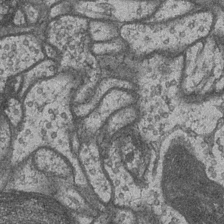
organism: Drosophila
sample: Optic medulla